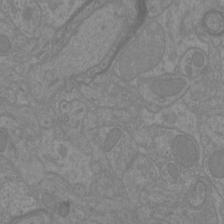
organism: Mouse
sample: Cortical neurons